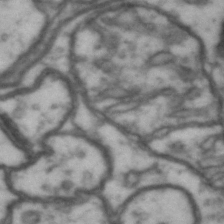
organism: Drosophila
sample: Brain